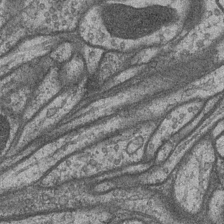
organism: Drosophila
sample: Optic medulla